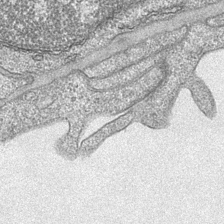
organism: Mouse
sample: CA1 Hippocampus